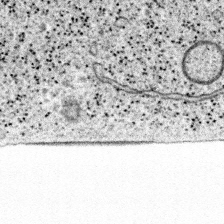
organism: Human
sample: HeLa cells